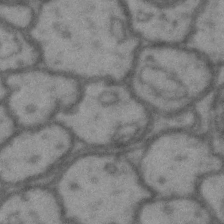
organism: Drosophila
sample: Brain